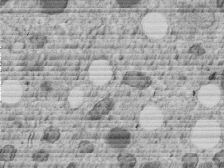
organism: C. elegans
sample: C. elegans embryo early stage